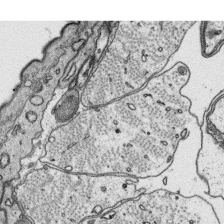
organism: Platynereis dumerilii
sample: Parapodia